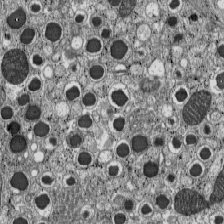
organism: C57BL Mouse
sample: Pancreatic islet